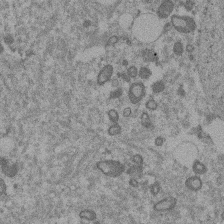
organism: Mouse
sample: Dividing mouse embryo 1 cell stage